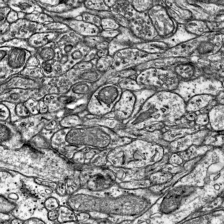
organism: Mouse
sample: Visual Cortex